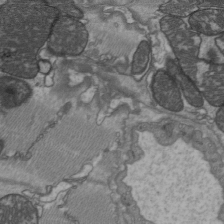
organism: C57BL Mouse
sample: Heart